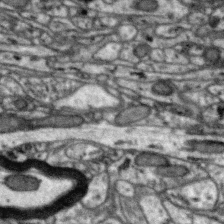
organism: Zebra finch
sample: Brain